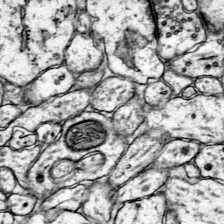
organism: Mouse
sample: Primary visual cortex